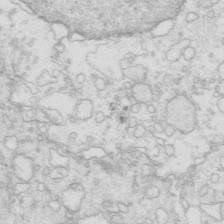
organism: Mouse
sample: Multiciliated cells